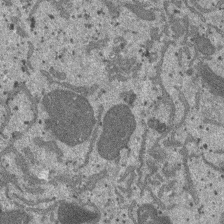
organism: Human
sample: Lung epithelial cells infected with SARS-CoV-2